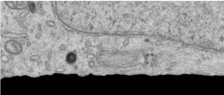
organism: Human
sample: Centriole in RPE cells